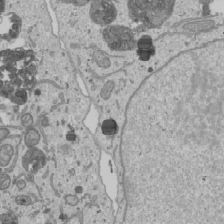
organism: Human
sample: Mitochondria in U2OS cells